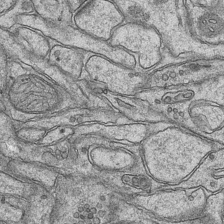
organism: Mouse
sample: CA1 Hippocampus